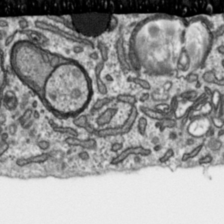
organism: Toxoplasma gondii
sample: Parasites in a vacuole inside a host cell